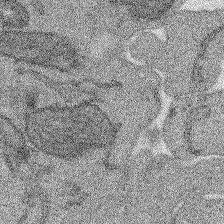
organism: Human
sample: HeLa cells